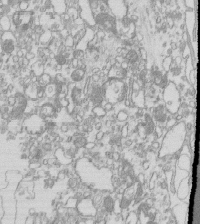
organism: Mouse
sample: Macrophages